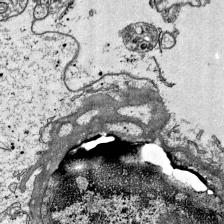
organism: Mouse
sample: Visual Cortex